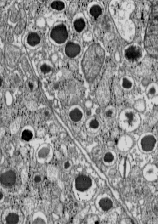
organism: C57BL Mouse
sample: Pancreatic islet